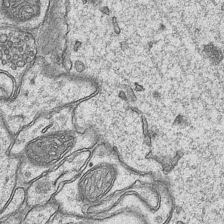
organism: Mouse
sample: CA1 Hippocampus